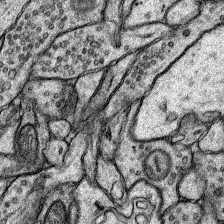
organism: Rat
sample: Hippocampus